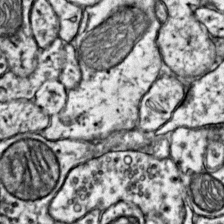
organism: Mouse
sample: Primary visual cortex